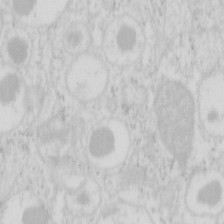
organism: Mouse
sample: Pancreas